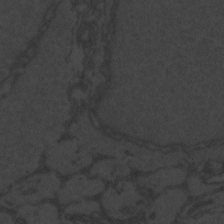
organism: Zebrafish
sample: Macrophage infected with Toxoplasma gondii